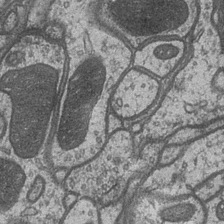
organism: Drosophila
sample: Optic medulla